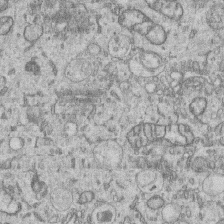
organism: Human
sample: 1205lu cells